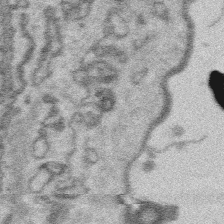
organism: Platynereis dumerilii